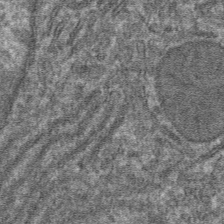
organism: Mouse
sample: Mouse hepatocytes